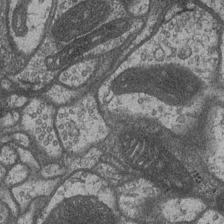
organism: Drosophila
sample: Optic medulla